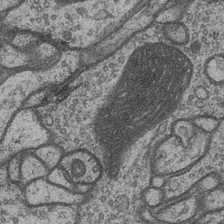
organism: Drosophila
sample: Optic medulla